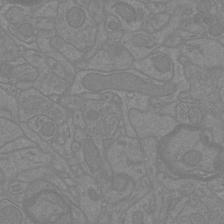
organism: Mouse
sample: Cortical neurons